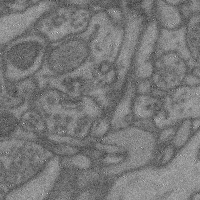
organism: Mouse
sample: Cerebral cortex